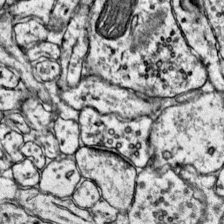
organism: Mouse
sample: Primary visual cortex